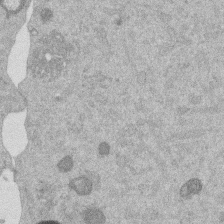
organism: Mouse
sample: Dividing mouse embryo 1 cell stage